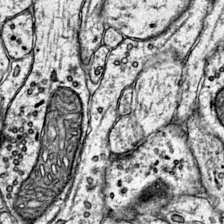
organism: Mouse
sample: Primary visual cortex